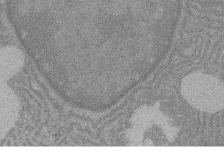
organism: Rat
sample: Salivary granule